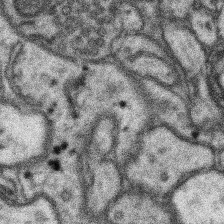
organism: Mouse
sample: Somatosensory cortex neuropil